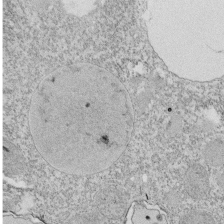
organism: Tetrahymena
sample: Cilia in tetrahymena